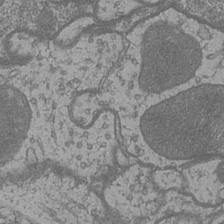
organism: Drosophila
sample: Optic medulla